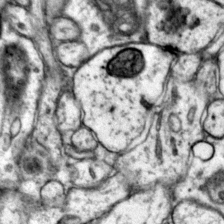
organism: Mouse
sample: Primary visual cortex